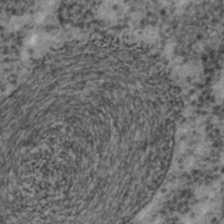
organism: C. elegans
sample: C. elegans embryo